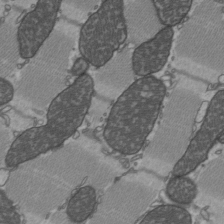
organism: C57BL Mouse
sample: Heart